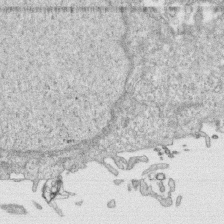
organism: Human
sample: HeLa cell HIV synapse